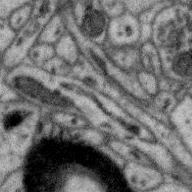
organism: Zebra finch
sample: Brain